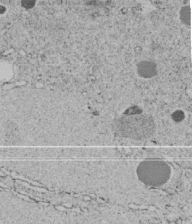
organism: C. elegans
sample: C. elegans embryo early stage